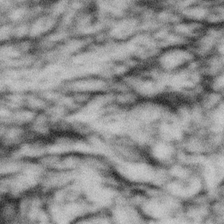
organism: Gemmata obscuriglobus